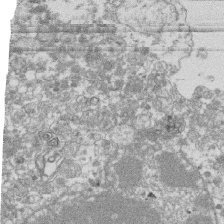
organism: Human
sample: HeLa cell HIV synapse